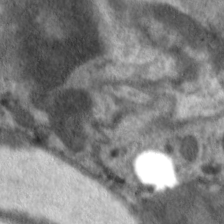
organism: C. elegans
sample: Pharynx